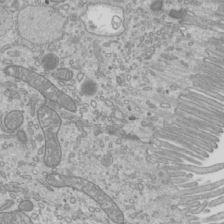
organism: Mouse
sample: Cilia; mouse epididymis